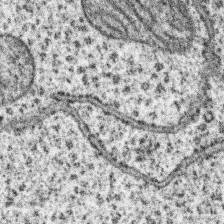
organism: Human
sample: HeLa cells